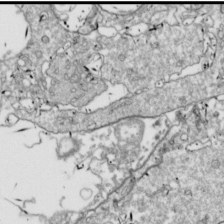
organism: Drosophila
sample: Cell division; meiosis; drosophila spermatocytes